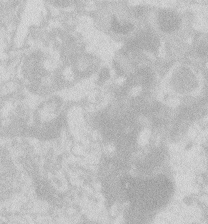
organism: Zebrafish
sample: Macrophage